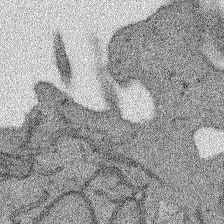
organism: Human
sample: HeLa cells